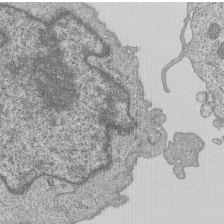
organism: Human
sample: MDA-MB-231 cells